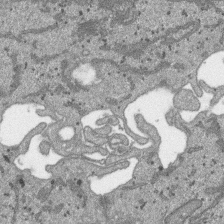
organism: Human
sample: Lung epithelial cells infected with SARS-CoV-2